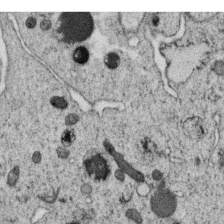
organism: C. elegans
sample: C. elegans oocyte; sperm cells